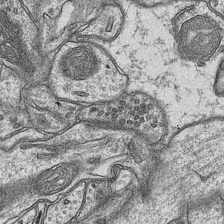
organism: Mouse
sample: CA1 Hippocampus